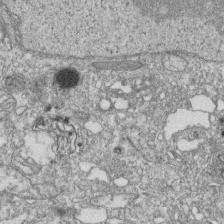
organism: Human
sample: HeLa cell HIV synapse